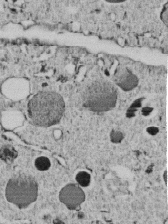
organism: C. elegans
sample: C. elegans embryo early stage